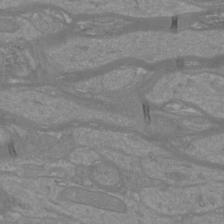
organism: Mouse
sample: Cortical neurons